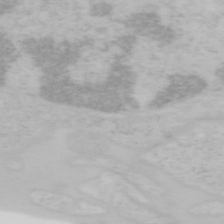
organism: Mouse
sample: OT-I killer T cells with ID8 ovarian cancer cells